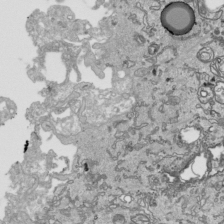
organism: Human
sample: Mitochondria in HCT116 cells